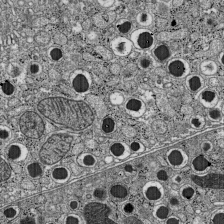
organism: C57BL Mouse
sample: Pancreatic islet